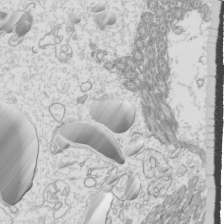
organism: Mouse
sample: Cilia; mouse epididymis